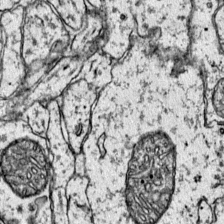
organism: Mouse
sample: Primary visual cortex